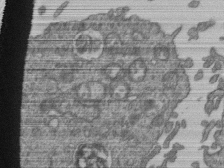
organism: Human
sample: Retinal organoid Rod and Cone cells